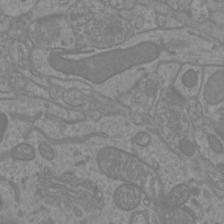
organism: Mouse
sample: Cortical neurons